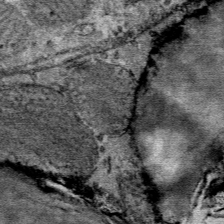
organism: Mouse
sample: Mouse Salivary gland